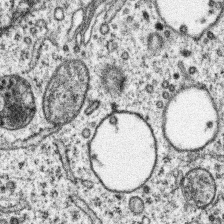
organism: Human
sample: HeLa cells